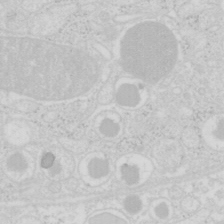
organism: Mouse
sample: Pancreas